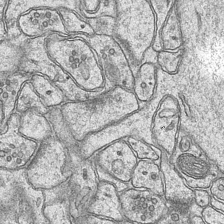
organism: Mouse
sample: CA1 Hippocampus